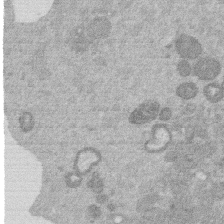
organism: Mouse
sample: Dividing mouse embryo 1 cell stage